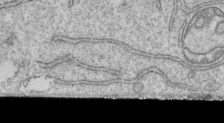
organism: Human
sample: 1205lu cells